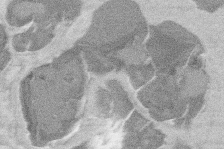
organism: Mouse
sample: T cell stromal cell synapse